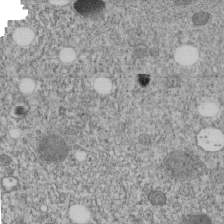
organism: C. elegans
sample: C. elegans embryo early stage